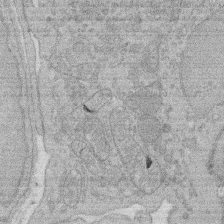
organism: Rat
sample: Salivary granule